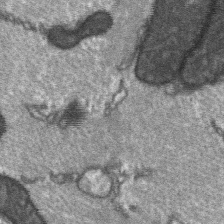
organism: C57BL Mouse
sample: Soleus